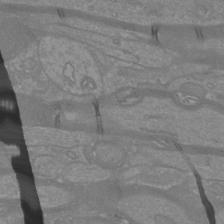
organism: Mouse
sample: Cortical neurons